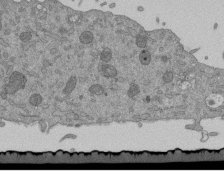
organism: Mouse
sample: ED-1 cell nuclei; centrioles